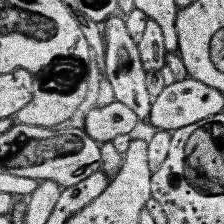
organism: Human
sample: Temporal Lobe